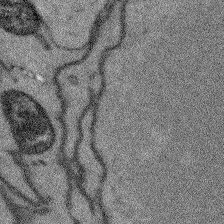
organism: Arabidopsis thaliana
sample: Root tip